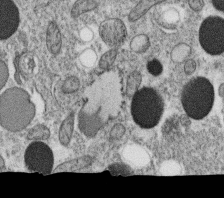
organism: C. elegans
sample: C. elegans oocyte; sperm cells